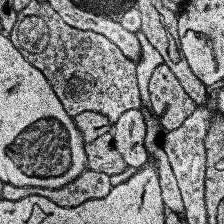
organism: Human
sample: Temporal Lobe